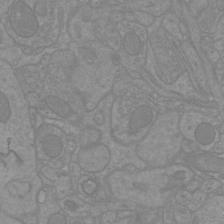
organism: Mouse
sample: Cortical neurons